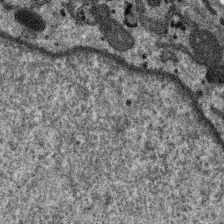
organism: Human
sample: Lung epithelial cells infected with SARS-CoV-2